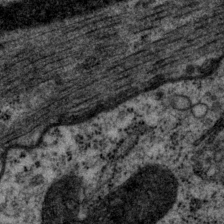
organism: P. pacificus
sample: Pharynx